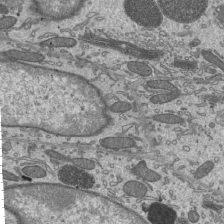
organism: Mouse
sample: Mouse epididymis efferent ductule cilia